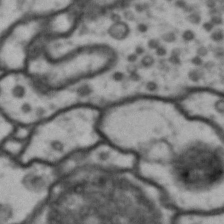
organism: Drosophila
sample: Brain